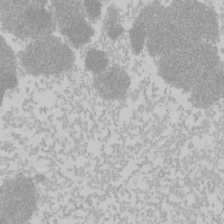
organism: Mouse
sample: Cancer cell death in ED-1 cells